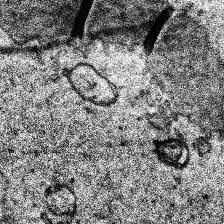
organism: Human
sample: Temporal Lobe